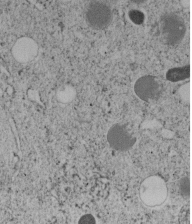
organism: C. elegans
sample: C. elegans embryo early stage